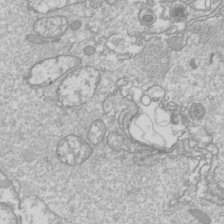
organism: Drosophila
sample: Cell division; meiosis; drosophila spermatocytes